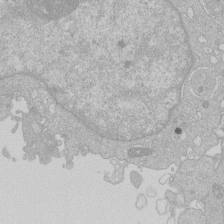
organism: Human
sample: Macrophage cells